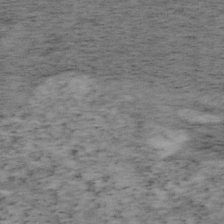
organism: Mouse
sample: OT-I killer T cells with ID8 ovarian cancer cells